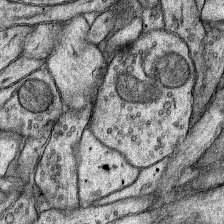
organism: Rat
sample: Hippocampus